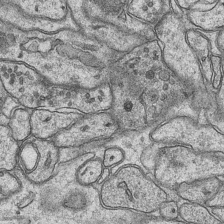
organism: Mouse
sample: CA1 Hippocampus